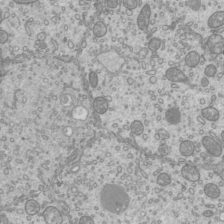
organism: Mouse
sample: Cilia; mouse epididymis